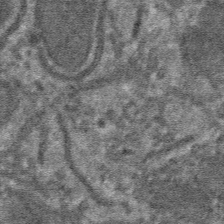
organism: Mouse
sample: Mouse hepatocytes